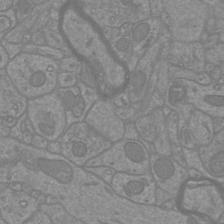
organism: Mouse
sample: Cortical neurons